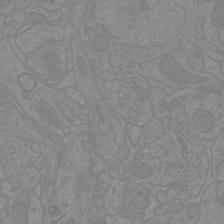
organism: Mouse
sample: Cortical neurons